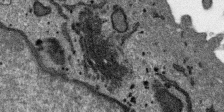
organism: Human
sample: Lung epithelial cells, uninfected (mock) control